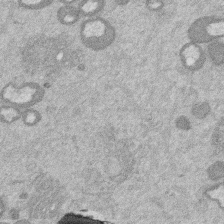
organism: Mouse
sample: Dividing mouse embryo 1 cell stage